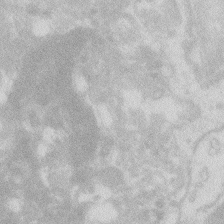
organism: Zebrafish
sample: Macrophage